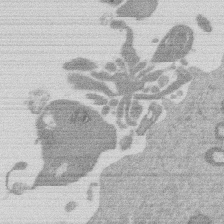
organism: Mouse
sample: Dividing mouse embryo 1 cell stage